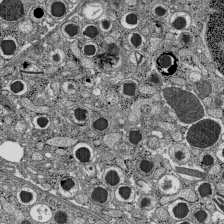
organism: C57BL Mouse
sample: Pancreatic islet